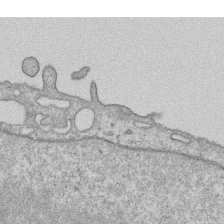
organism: Human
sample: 1205lu cells